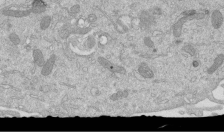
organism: Mouse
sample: ED-1 cell nuclei; centrioles